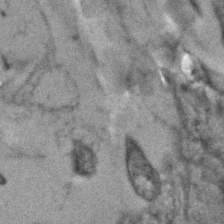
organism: Human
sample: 1205lu cells